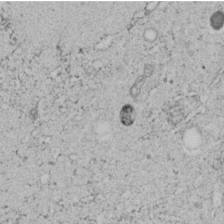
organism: C. elegans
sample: C. elegans embryo early stage